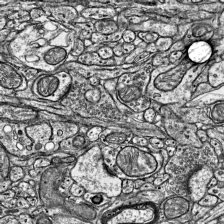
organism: Mouse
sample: Visual Cortex